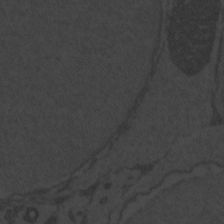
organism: Zebrafish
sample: Macrophage infected with Toxoplasma gondii